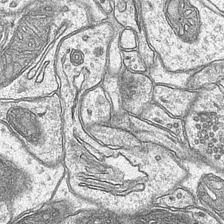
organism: Mouse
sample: CA1 Hippocampus